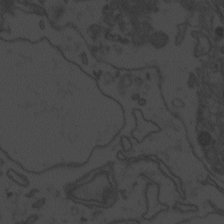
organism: Zebrafish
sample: Macrophage infected with Toxoplasma gondii